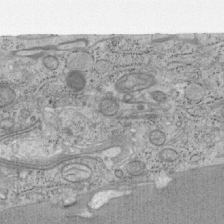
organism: Human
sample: HeLa cells